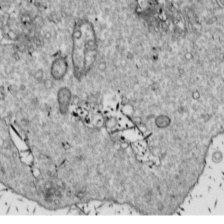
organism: Drosophila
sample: Cell division; meiosis; drosophila spermatocytes